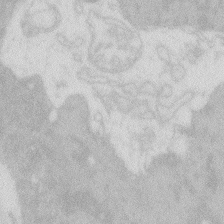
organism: Zebrafish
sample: Macrophage